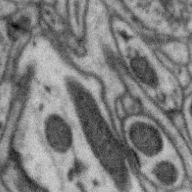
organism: Zebra finch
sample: Brain